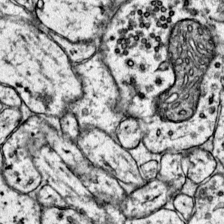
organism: Mouse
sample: Primary visual cortex